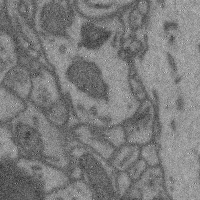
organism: Mouse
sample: Cerebral cortex